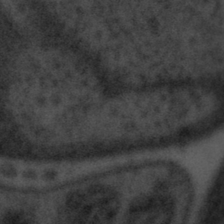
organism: Tuwongella immobilis